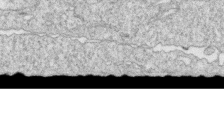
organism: Human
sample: HeLa cell HIV synapse